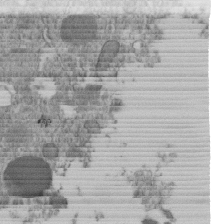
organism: C. elegans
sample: C. elegans embryo early stage